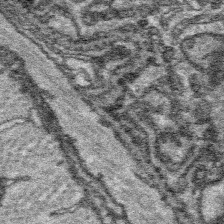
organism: Platynereis dumerilii